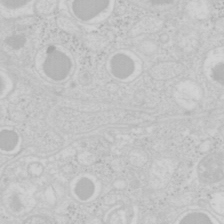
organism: Mouse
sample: Pancreas